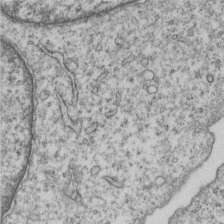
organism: Human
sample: MDA-MB-231 cells